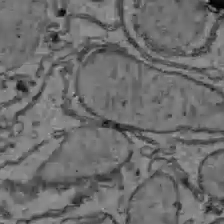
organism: C57BL Mouse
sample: Liver